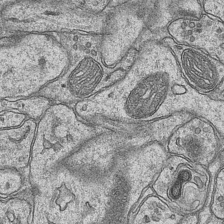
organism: Mouse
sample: CA1 Hippocampus